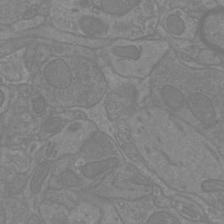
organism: Mouse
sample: Cortical neurons